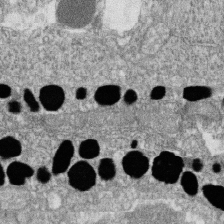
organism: Zebrafish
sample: Cilia; retinal pigment epithelium